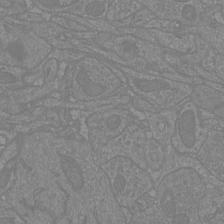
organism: Mouse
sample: Cortical neurons